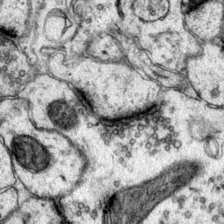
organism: Mouse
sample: Primary visual cortex